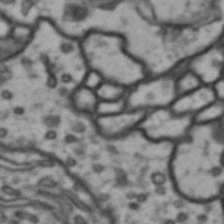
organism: Drosophila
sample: Brain